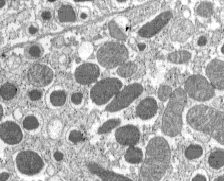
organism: C57BL Mouse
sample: Pancreatic islet